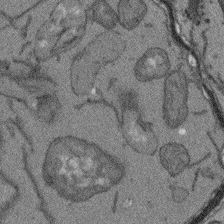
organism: Arabidopsis thaliana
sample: Root tip